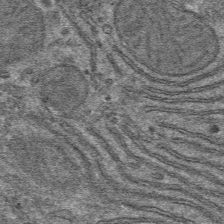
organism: Mouse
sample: Mouse hepatocytes